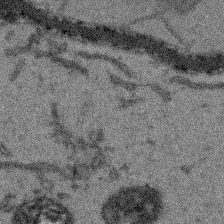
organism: Arabidopsis thaliana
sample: Root tip